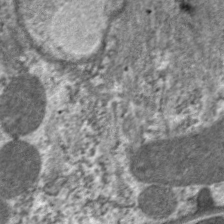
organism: C. elegans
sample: Pharynx